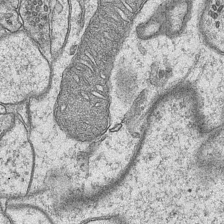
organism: Mouse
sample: CA1 Hippocampus